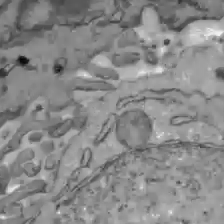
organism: C57BL Mouse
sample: Liver